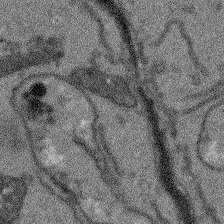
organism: Arabidopsis thaliana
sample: Root tip